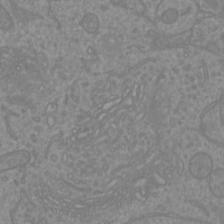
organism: Mouse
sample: Cortical neurons